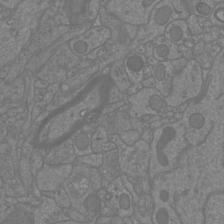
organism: Mouse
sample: Cortical neurons